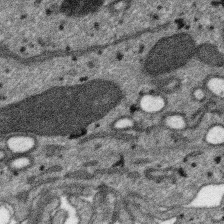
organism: Human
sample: Lung epithelial cells infected with SARS-CoV-2